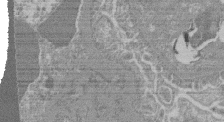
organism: Mouse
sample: Glomerulus